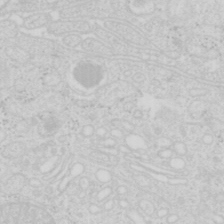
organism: Mouse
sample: Pancreas